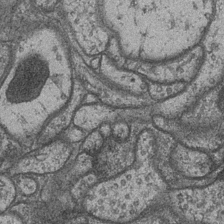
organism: Drosophila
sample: Optic medulla